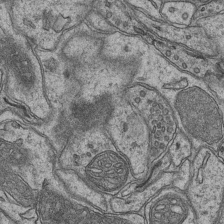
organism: Mouse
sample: CA1 Hippocampus